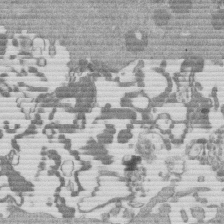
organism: Mouse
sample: Dividing mouse embryo 1 cell stage